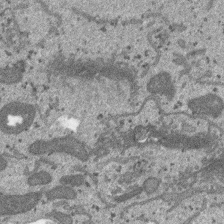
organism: Human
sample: Lung epithelial cells infected with SARS-CoV-2